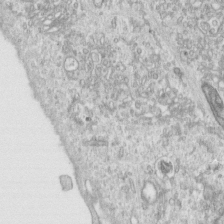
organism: Human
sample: Centriole in RPE cells